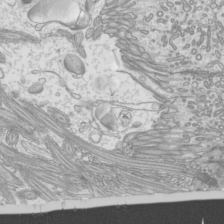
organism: Mouse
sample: Cilia; mouse epididymis